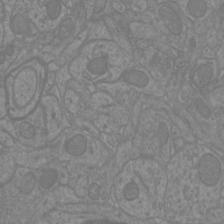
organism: Mouse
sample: Cortical neurons